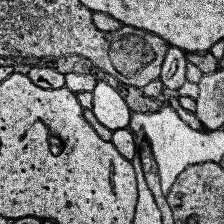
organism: Human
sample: Temporal Lobe